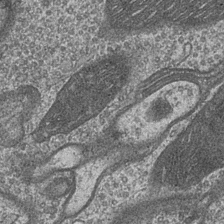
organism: Drosophila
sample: Optic medulla